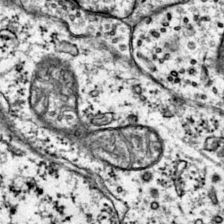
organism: Mouse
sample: Primary visual cortex